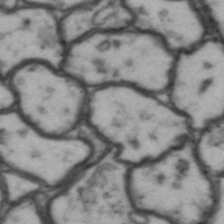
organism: Drosophila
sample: Brain